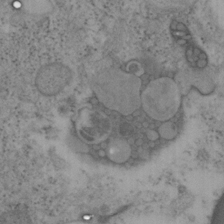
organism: Mouse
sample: OT-I killer T cells with ID8 ovarian cancer cells